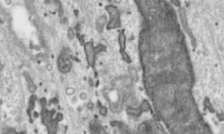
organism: Toxoplasma gondii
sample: Parasites in a vacuole inside a host cell